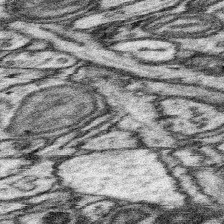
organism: Mouse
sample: Somatosensory cortex neuropil